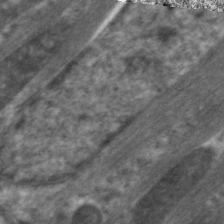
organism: C. elegans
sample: Pharynx